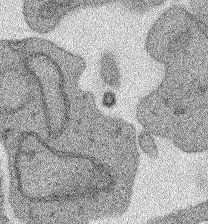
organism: Human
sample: HeLa cells